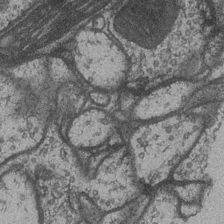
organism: Drosophila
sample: Optic medulla